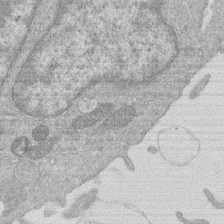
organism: Human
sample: Macrophage cells